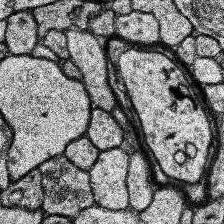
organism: Human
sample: Temporal Lobe